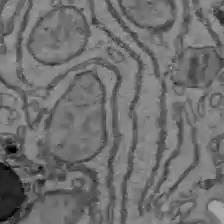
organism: C57BL Mouse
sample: Liver